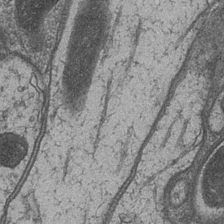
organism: Drosophila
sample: Optic medulla